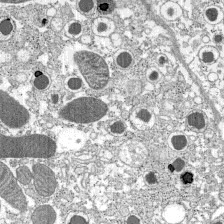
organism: C57BL Mouse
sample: Pancreatic islet